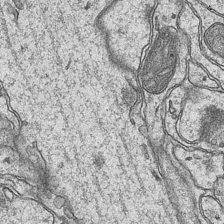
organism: Mouse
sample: CA1 Hippocampus